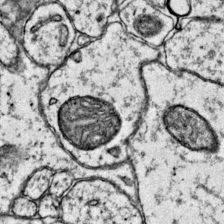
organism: Mouse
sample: Primary visual cortex